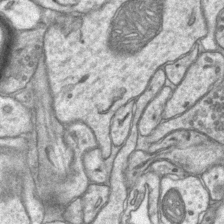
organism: Mouse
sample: CA1 Hippocampus